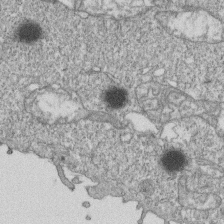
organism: Human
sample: HeLa cell HIV synapse